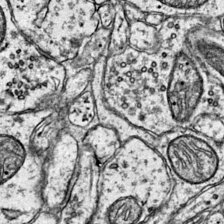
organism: Mouse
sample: Primary visual cortex